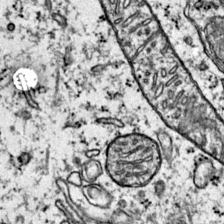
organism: Mouse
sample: Primary visual cortex